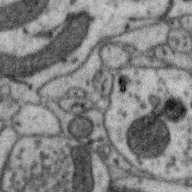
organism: Zebra finch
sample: Brain